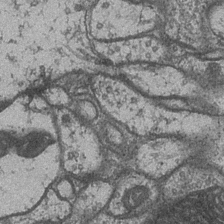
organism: Drosophila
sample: Optic medulla